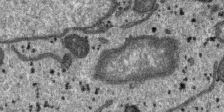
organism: Human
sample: Lung epithelial cells, uninfected (mock) control